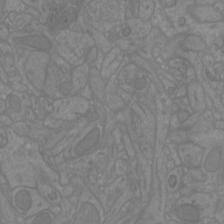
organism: Mouse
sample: Cortical neurons